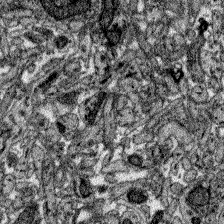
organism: Zebrafish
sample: Larval olfactory bulb